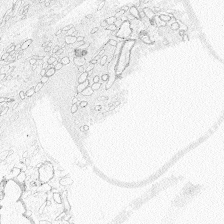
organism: Zebrafish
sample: Whole-Brain